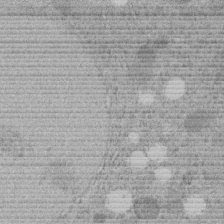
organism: C. elegans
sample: C. elegans embryo early stage